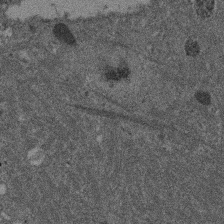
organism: Mouse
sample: Dividing mouse embryo 1 cell stage